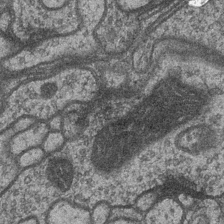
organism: Drosophila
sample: Optic medulla